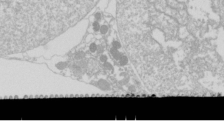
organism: Drosophila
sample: Cell division; meiosis; drosophila spermatocytes